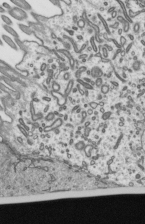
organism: Mouse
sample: Mouse epididymis efferent ductule cilia